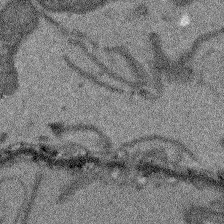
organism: Arabidopsis thaliana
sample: Root tip